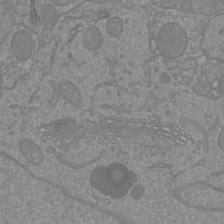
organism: Mouse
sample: Cortical neurons